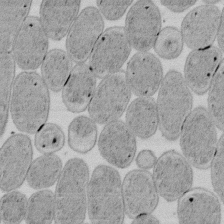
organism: E. coli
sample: Bacterial nucleoid